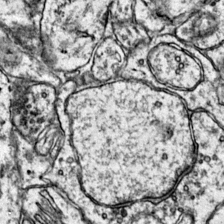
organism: Mouse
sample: Primary visual cortex